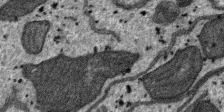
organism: Human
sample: Lung epithelial cells, uninfected (mock) control